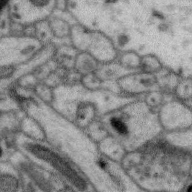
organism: Zebra finch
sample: Brain